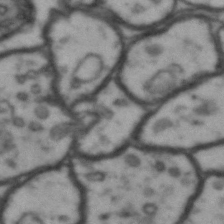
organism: Drosophila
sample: Brain